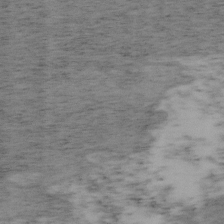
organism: Mouse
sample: OT-I killer T cells with ID8 ovarian cancer cells